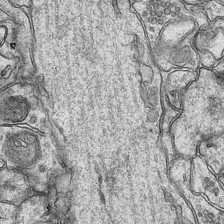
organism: Mouse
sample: CA1 Hippocampus